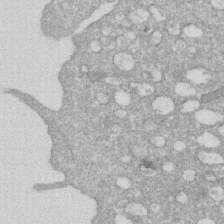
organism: Human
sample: HIV infected U937 cells